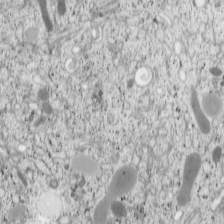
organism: African green monkey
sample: COS-7 cells